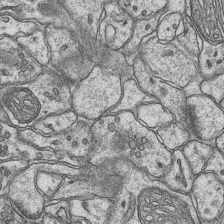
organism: Mouse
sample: CA1 Hippocampus